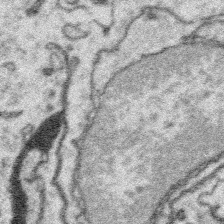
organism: Platynereis dumerilii